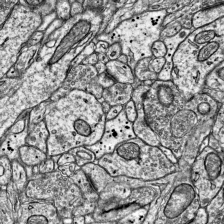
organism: Mouse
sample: Visual Cortex